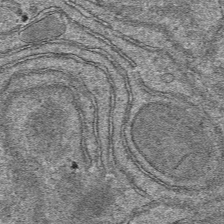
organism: Mouse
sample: Mouse hepatocytes